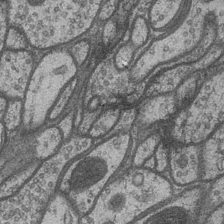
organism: Drosophila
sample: Optic medulla